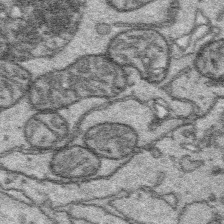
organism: Platynereis dumerilii